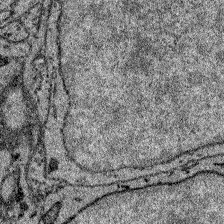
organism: Zebrafish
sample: Larval olfactory bulb